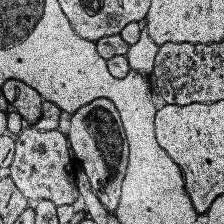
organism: Human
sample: Temporal Lobe